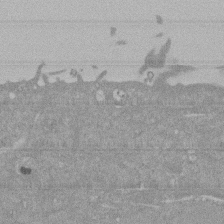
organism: Mouse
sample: ED-1 cell nuclei; centrioles